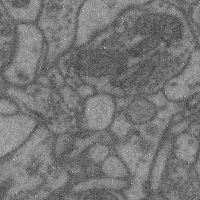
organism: Mouse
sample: Cerebral cortex